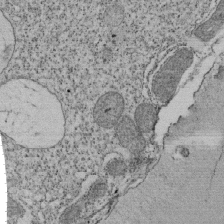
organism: Tetrahymena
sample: Cilia in tetrahymena